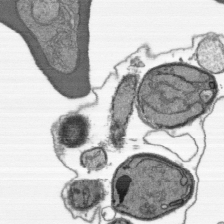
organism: Plasmodium falciparum